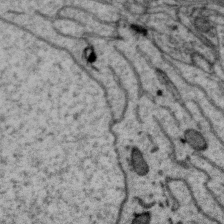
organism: Zebra finch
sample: Brain